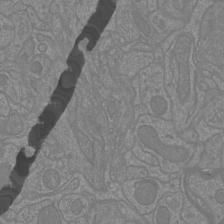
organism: Mouse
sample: Cortical neurons